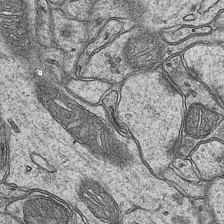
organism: Mouse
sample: CA1 Hippocampus